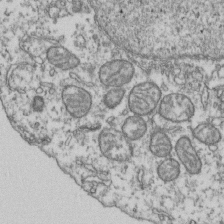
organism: Human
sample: Activated Jurkat CD4+ T cells